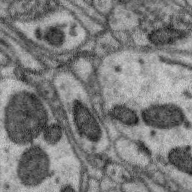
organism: Zebra finch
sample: Brain